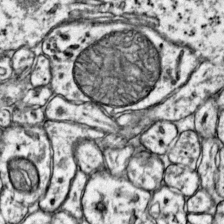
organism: Mouse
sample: Primary visual cortex